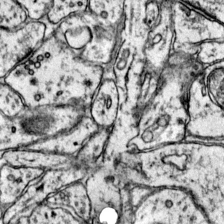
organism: Mouse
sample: Primary visual cortex